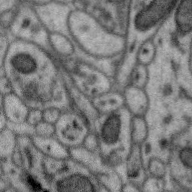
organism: Zebra finch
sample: Brain